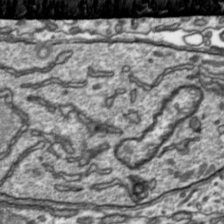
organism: Toxoplasma gondii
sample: Parasites in a vacuole inside a host cell